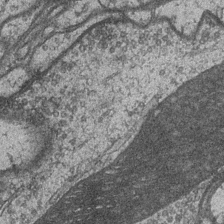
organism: Drosophila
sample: Optic medulla